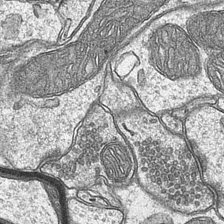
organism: Mouse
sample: CA1 Hippocampus